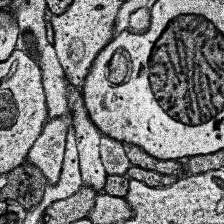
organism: Human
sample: Temporal Lobe